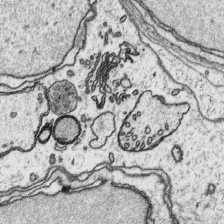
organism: Platynereis dumerilii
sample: Parapodia